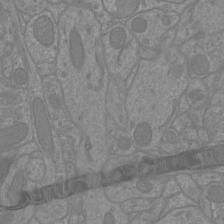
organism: Mouse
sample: Cortical neurons